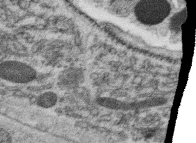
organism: C. elegans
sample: C. elegans oocyte; sperm cells